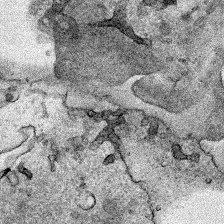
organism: Human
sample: Mitochondria in HCT116 cells